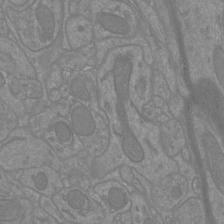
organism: Mouse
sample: Cortical neurons